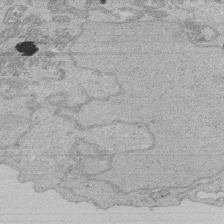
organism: Human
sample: Activated Jurkat CD4+ T cells